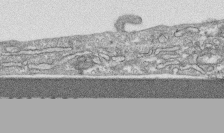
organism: Human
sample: CRL-1474